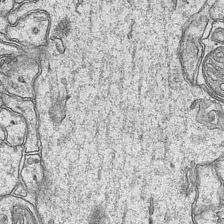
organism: Mouse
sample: CA1 Hippocampus